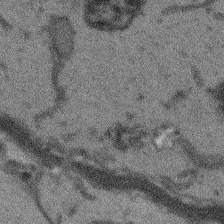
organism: Arabidopsis thaliana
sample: Root tip